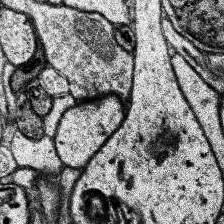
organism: Human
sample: Temporal Lobe